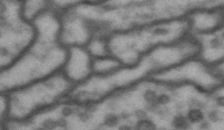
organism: Drosophila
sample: Brain